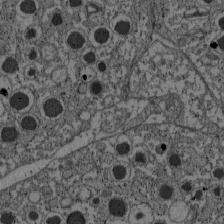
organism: C57BL Mouse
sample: Pancreatic islet